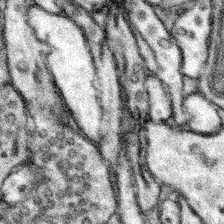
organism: Mouse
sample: Somatosensory cortex neuropil